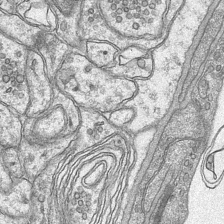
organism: Mouse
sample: CA1 Hippocampus